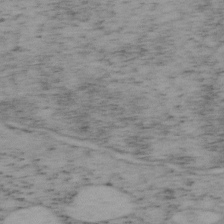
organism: Mouse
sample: OT-I killer T cells with ID8 ovarian cancer cells